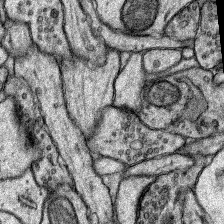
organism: Rat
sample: Hippocampus